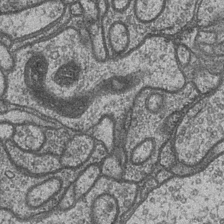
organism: Drosophila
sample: Optic medulla